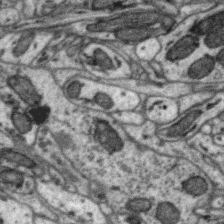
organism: Zebra finch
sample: Brain